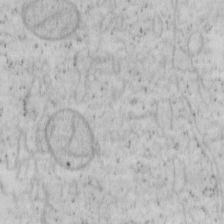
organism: Human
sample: HeLa cells